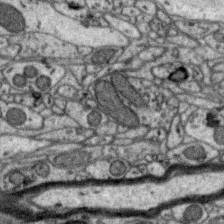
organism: Zebra finch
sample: Brain